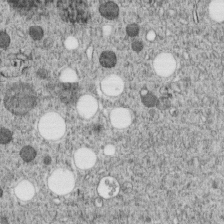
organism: C. elegans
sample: C. elegans embryo early stage